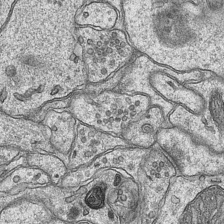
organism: Mouse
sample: CA1 Hippocampus